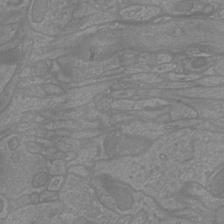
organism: Mouse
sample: Cortical neurons